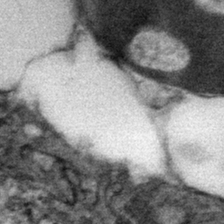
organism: Mouse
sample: Mouse hepatocytes